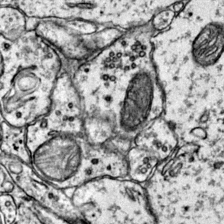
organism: Mouse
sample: Primary visual cortex